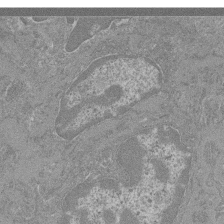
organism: Mouse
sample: Glomerulus